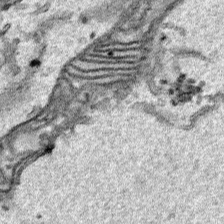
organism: Human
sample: Mitochondria in HCT116 cells